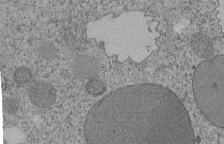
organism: Tetrahymena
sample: Cilia in tetrahymena